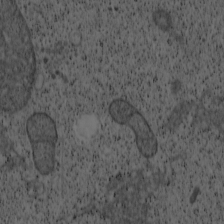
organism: African green monkey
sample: COS-7 cells